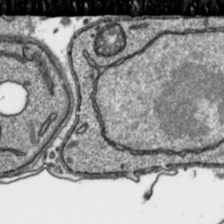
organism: Toxoplasma gondii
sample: Parasites in a vacuole inside a host cell